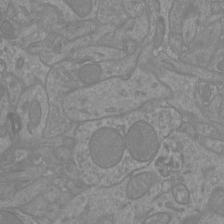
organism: Mouse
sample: Cortical neurons